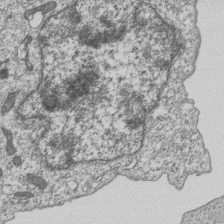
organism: Human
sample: MDA-MB-231 cells